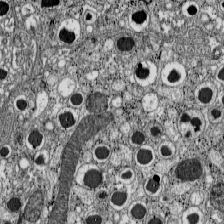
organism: C57BL Mouse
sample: Pancreatic islet